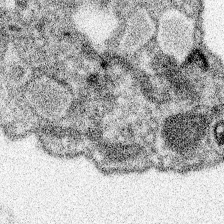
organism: Spongilla lacustris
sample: Neuroid cell